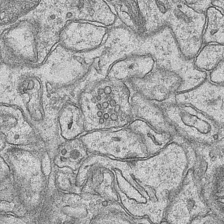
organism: Mouse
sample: CA1 Hippocampus